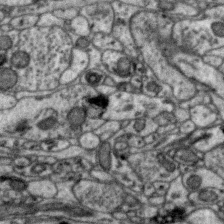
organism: Zebra finch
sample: Brain